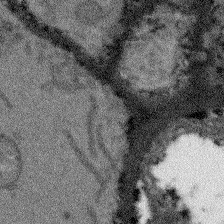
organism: Arabidopsis thaliana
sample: Root tip